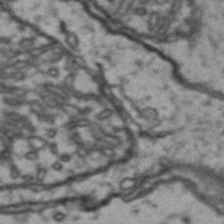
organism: Drosophila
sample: Brain